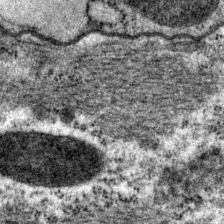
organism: P. pacificus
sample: Pharynx